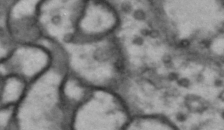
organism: Drosophila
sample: Brain